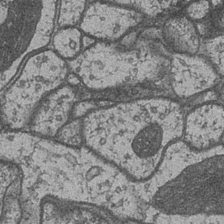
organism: Drosophila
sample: Optic medulla